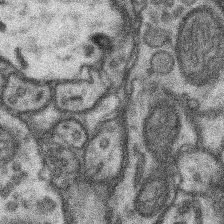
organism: Mouse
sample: Somatosensory cortex neuropil